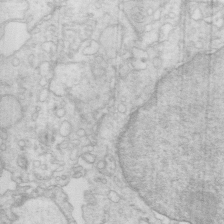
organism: Mouse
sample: Multiciliated cells